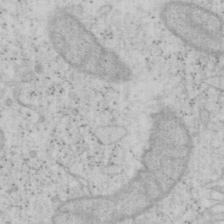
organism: Human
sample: HeLa cells